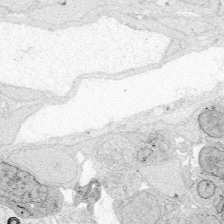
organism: Zebrafish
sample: Whole-Brain